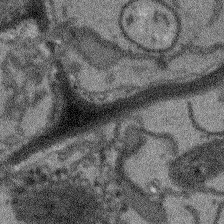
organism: Arabidopsis thaliana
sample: Root tip